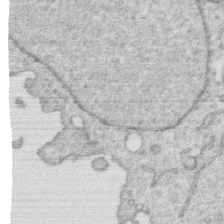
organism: Human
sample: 1205lu cells